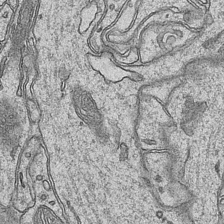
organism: Mouse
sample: CA1 Hippocampus